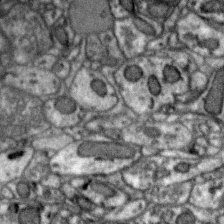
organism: Zebra finch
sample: Brain